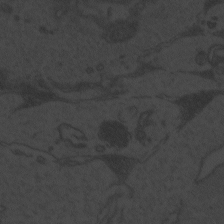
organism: Zebrafish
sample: Macrophage infected with Toxoplasma gondii